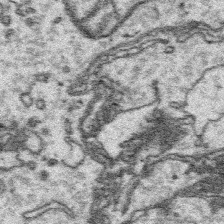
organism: Platynereis dumerilii